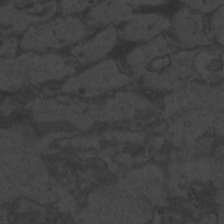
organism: Zebrafish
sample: Macrophage infected with Toxoplasma gondii